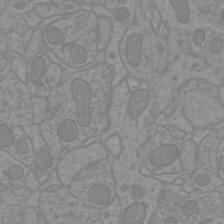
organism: Mouse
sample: Cortical neurons